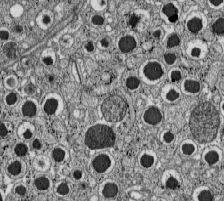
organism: C57BL Mouse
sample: Pancreatic islet